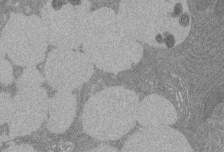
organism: Rat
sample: Salivary granule